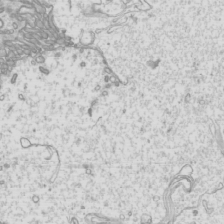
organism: Mouse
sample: Cilia; mouse epididymis